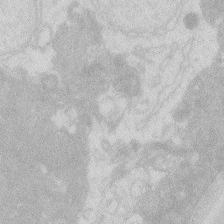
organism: Zebrafish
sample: Macrophage